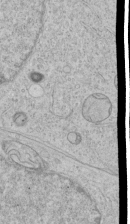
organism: Human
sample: Mitochondria in HCT116 cells